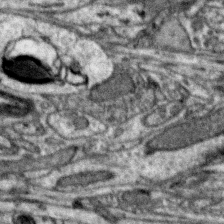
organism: Zebra finch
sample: Brain